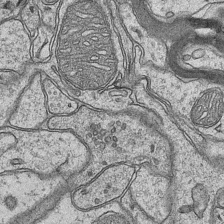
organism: Mouse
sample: CA1 Hippocampus